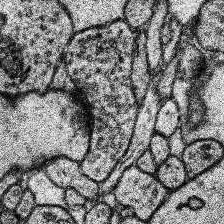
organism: Human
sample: Temporal Lobe